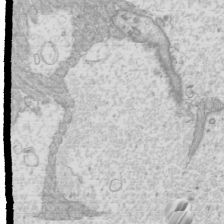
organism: Mouse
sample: Cilia; mouse epididymis